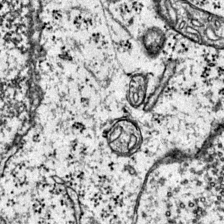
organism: Mouse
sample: Primary visual cortex